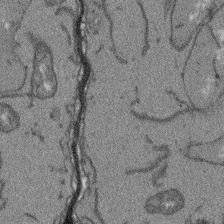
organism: Arabidopsis thaliana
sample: Root tip